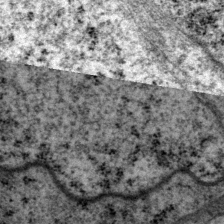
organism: P. pacificus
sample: Pharynx